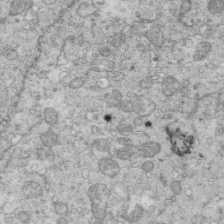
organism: Mouse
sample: Multiciliated cells